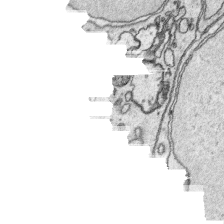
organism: Platynereis dumerilii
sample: Parapodia